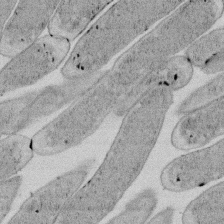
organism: E. coli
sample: Bacterial nucleoid